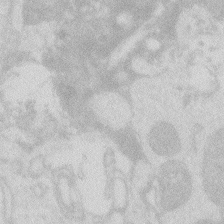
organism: Zebrafish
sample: Macrophage